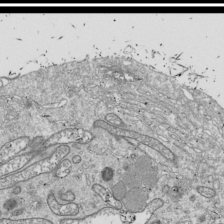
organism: Drosophila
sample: Cell division; meiosis; drosophila spermatocytes